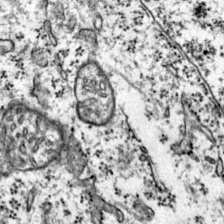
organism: Mouse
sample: Primary visual cortex